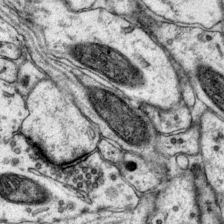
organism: Mouse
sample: Primary visual cortex